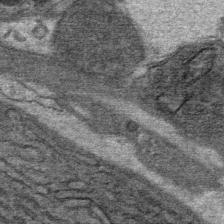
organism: Mouse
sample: Mouse Salivary gland